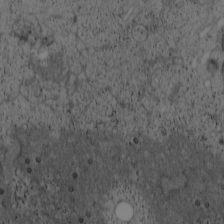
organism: African green monkey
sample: COS-7 cells